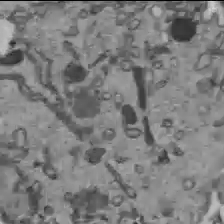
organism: C57BL Mouse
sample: Liver